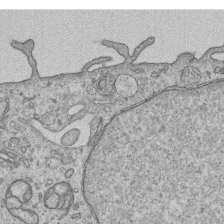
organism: Human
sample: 1205lu cells